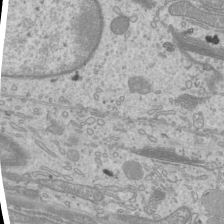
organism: Mouse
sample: Cilia; mouse epididymis